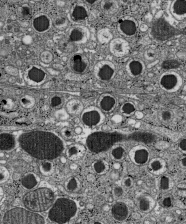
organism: C57BL Mouse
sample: Pancreatic islet